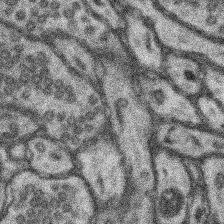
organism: Mouse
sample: Somatosensory cortex neuropil